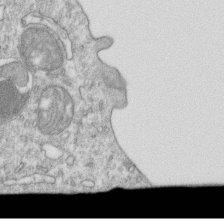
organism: Mouse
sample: Activated OT-1 CD8+ T cells